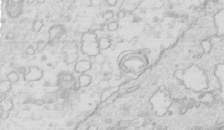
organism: Mouse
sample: Multiciliated cells